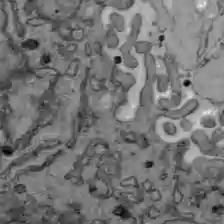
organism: C57BL Mouse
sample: Liver